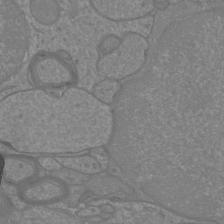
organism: Mouse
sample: Cortical neurons